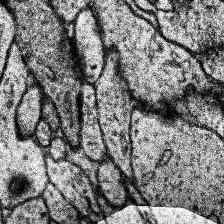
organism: Human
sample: Temporal Lobe